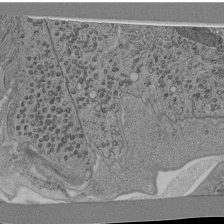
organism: C. elegans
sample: C. elegans pharynx